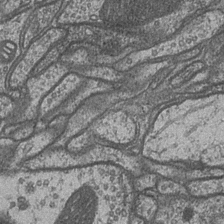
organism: Drosophila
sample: Optic medulla